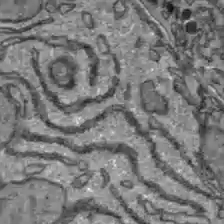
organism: C57BL Mouse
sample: Liver